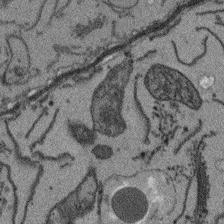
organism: Arabidopsis thaliana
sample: Root tip